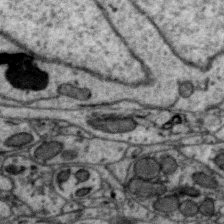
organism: Zebra finch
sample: Brain